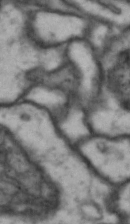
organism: Drosophila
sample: Brain